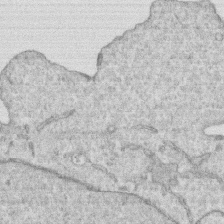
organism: Human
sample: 1205lu cells